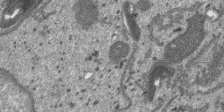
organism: Human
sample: Lung epithelial cells infected with SARS-CoV-2